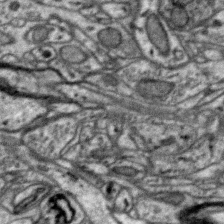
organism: Zebra finch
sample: Brain